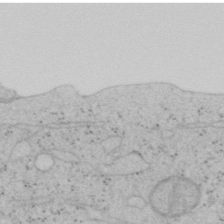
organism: Human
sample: HeLa cells